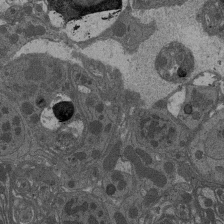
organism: Drosophila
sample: Antenna